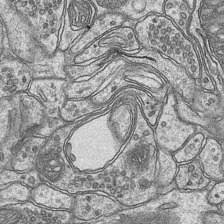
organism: Mouse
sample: CA1 Hippocampus